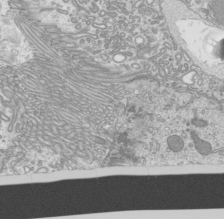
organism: Mouse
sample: Cilia; mouse epididymis